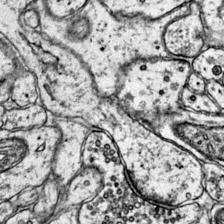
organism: Mouse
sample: Primary visual cortex